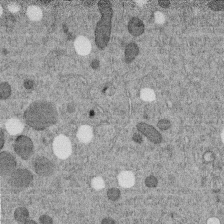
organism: C. elegans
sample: C. elegans embryo early stage